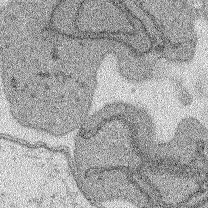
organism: Human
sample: HeLa cells